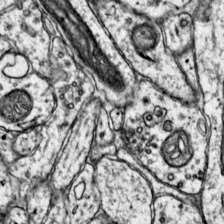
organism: Mouse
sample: Primary visual cortex